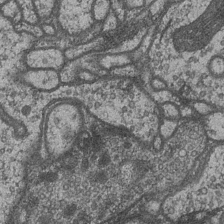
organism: Drosophila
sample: Optic medulla